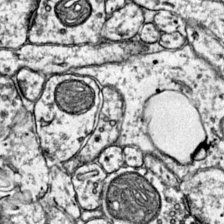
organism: Mouse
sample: Primary visual cortex